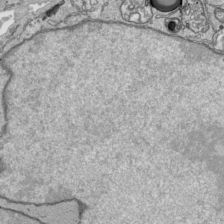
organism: Human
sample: Mitochondria in HCT116 cells